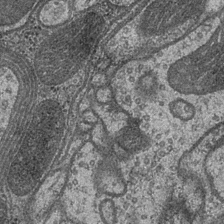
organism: Drosophila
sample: Optic medulla